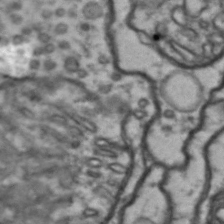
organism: Drosophila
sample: Brain